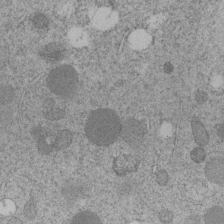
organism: C. elegans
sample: C. elegans embryo early stage